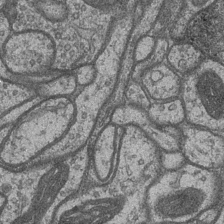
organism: Drosophila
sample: Optic medulla